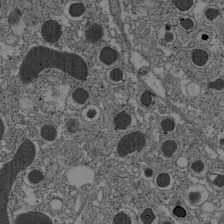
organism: C57BL Mouse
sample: Pancreatic islet